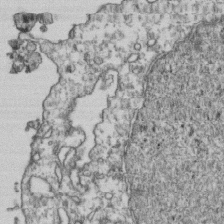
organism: Human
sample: Activated Jurkat CD4+ T cells